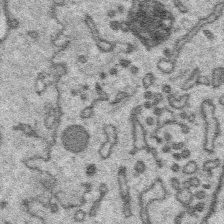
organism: Platynereis dumerilii